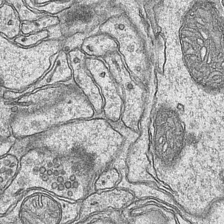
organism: Mouse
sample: CA1 Hippocampus